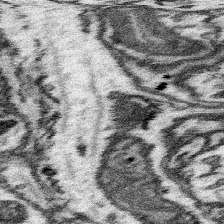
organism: Mouse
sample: Somatosensory cortex neuropil